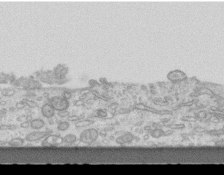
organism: Mouse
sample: Centriole in ependymal cells